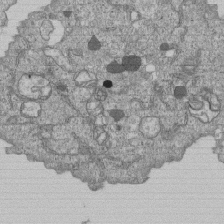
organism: Human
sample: MDA-MB-231 cells